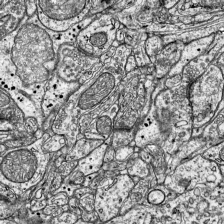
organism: Mouse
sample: Visual Cortex